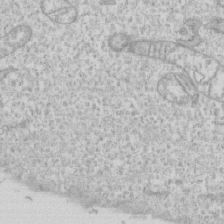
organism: Human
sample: CRL-1474